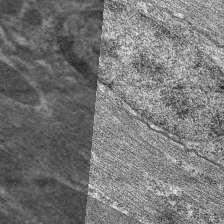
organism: C. elegans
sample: Pharynx